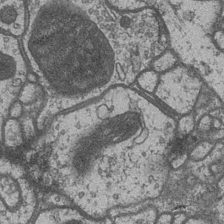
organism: Drosophila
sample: Optic medulla